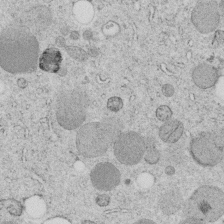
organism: C. elegans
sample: C. elegans embryo early stage